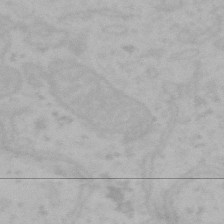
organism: Mouse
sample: Choroid plexus